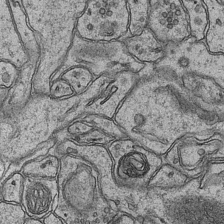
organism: Mouse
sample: CA1 Hippocampus